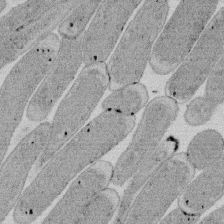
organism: E. coli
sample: Bacterial nucleoid